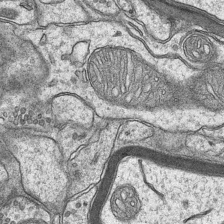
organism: Mouse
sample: CA1 Hippocampus